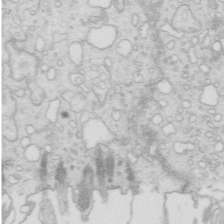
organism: Mouse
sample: Multiciliated cells